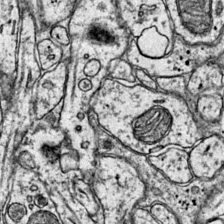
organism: Mouse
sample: Primary visual cortex